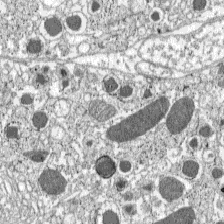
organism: C57BL Mouse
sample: Pancreatic islet